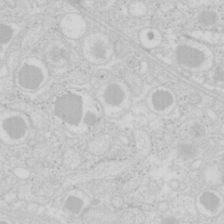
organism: Mouse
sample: Pancreas